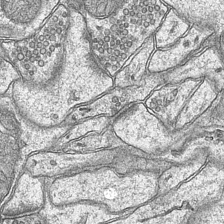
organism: Mouse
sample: CA1 Hippocampus